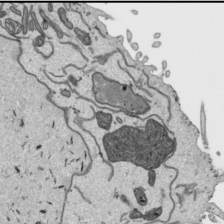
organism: Human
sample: Mitochondria in HCT116 cells